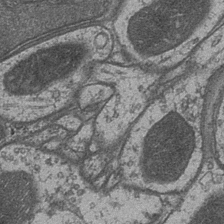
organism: Drosophila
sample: Optic medulla